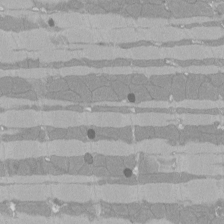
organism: Rat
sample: Left ventricle